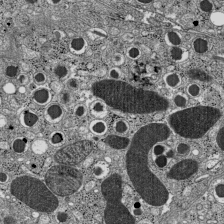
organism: C57BL Mouse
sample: Pancreatic islet